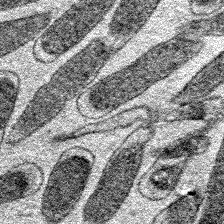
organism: E. coli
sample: E. Coli Bacteria